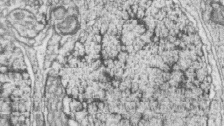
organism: Zebrafish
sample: synaptic ribbons in rod cells and cone cells